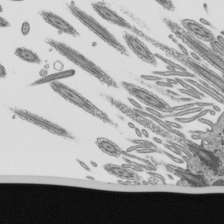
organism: Mouse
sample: Mouse epididymis efferent ductule cilia